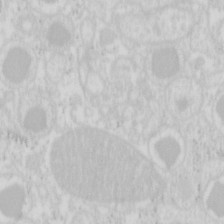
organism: Mouse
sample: Pancreas